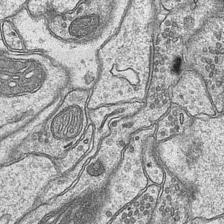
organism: Mouse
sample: CA1 Hippocampus